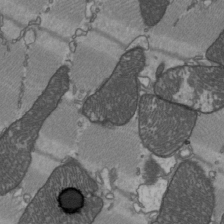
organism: C57BL Mouse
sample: Heart